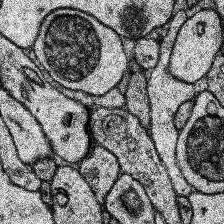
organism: Human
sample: Temporal Lobe